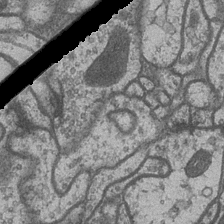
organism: Drosophila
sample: Optic medulla